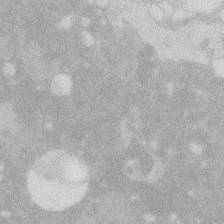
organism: Zebrafish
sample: Macrophage